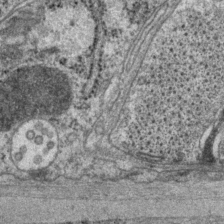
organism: P. pacificus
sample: Pharynx